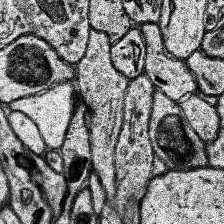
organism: Human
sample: Temporal Lobe